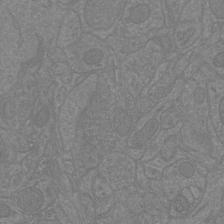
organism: Mouse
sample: Cortical neurons